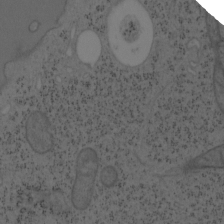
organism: Mouse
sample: OT-I killer T cells with ID8 ovarian cancer cells